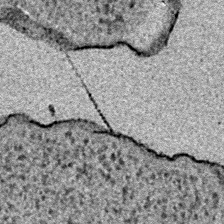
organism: E. coli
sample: E. Coli Bacteria